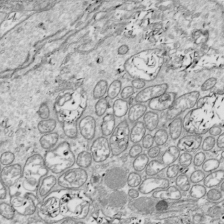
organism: Drosophila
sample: Cell division; meiosis; drosophila spermatocytes